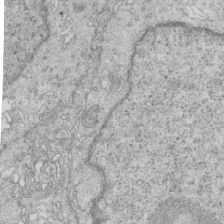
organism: Mouse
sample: Multiciliated cells